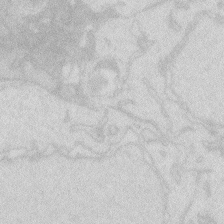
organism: Zebrafish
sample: Macrophage